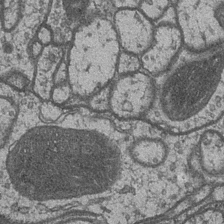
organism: Drosophila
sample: Optic medulla